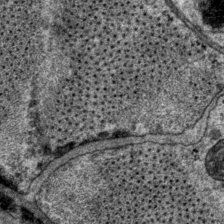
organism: P. pacificus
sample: Pharynx